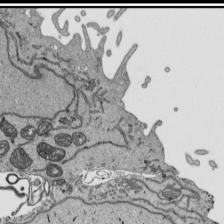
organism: Human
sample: Mitochondria in HCT116 cells